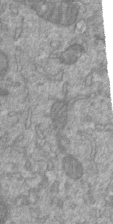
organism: Mouse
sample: ED-1 cell nuclei; centrioles